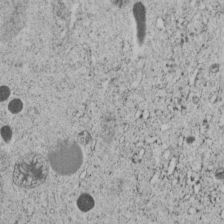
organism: C. elegans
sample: C. elegans embryo early stage